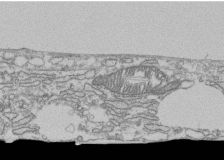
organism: Human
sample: Fibroblast cells